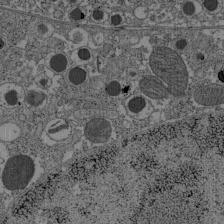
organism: C57BL Mouse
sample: Pancreatic islet